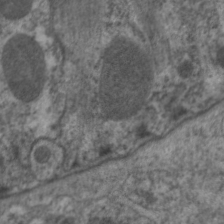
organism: C. elegans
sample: Pharynx